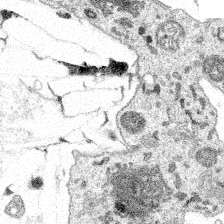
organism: Spongilla lacustris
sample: Multiple